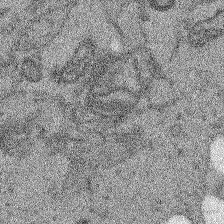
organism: Human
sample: HeLa cells